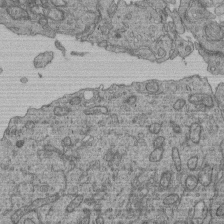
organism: Human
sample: Retinal organoid Rod and Cone cells